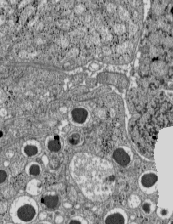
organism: C57BL Mouse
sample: Pancreatic islet